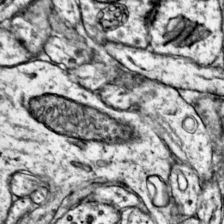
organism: Mouse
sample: Primary visual cortex